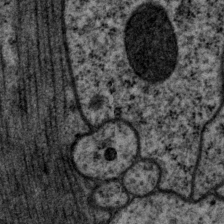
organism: P. pacificus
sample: Pharynx